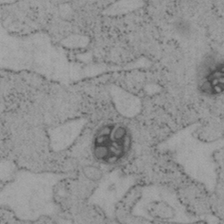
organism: Mouse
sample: OT-I killer T cells with ID8 ovarian cancer cells